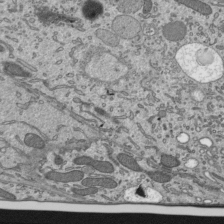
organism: Mouse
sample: Mouse epididymis efferent ductule cilia